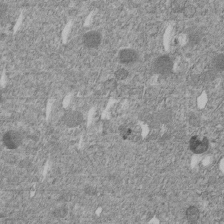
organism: C. elegans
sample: C. elegans embryo early stage